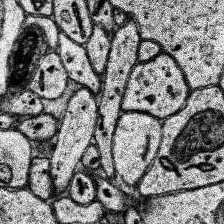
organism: Human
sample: Temporal Lobe